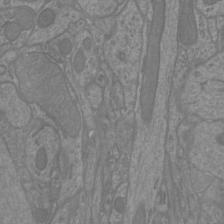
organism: Mouse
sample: Cortical neurons